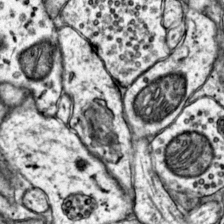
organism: Mouse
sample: Primary visual cortex